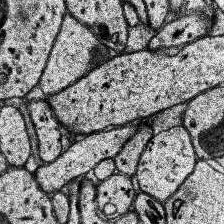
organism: Human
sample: Temporal Lobe